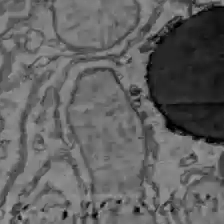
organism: C57BL Mouse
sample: Liver